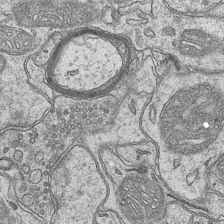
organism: Mouse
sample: CA1 Hippocampus